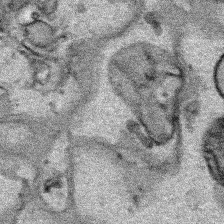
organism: Human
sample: Mitochondria in HCT116 cells